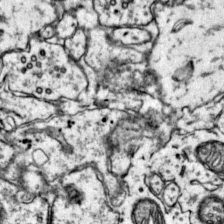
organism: Mouse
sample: Primary visual cortex